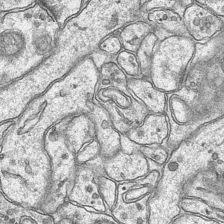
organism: Mouse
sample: CA1 Hippocampus